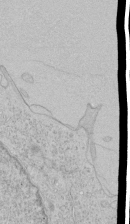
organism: Human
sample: Mitochondria in HCT116 cells